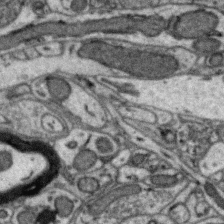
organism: Zebra finch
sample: Brain